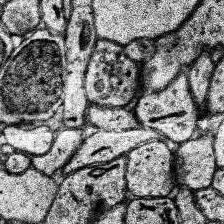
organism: Human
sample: Temporal Lobe